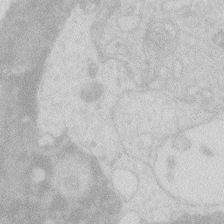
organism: Zebrafish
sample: Macrophage